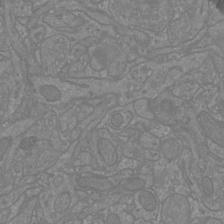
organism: Mouse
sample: Cortical neurons